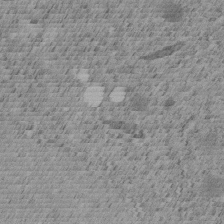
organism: C. elegans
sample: C. elegans embryo early stage